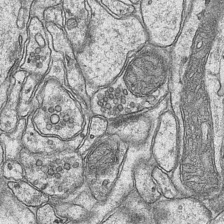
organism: Mouse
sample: CA1 Hippocampus